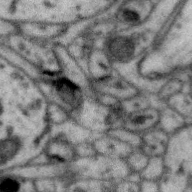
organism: Zebra finch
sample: Brain